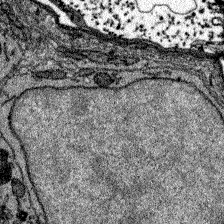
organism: Zebrafish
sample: Larval olfactory bulb